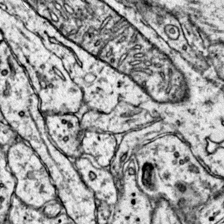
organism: Mouse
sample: Primary visual cortex